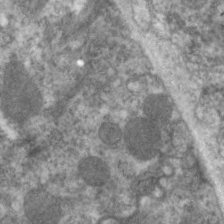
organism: C. elegans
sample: Pharynx